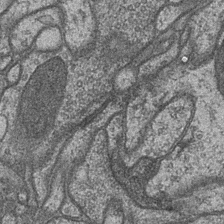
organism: Drosophila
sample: Optic medulla